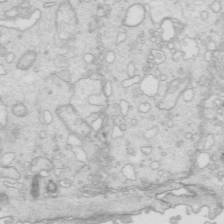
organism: Mouse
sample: Multiciliated cells